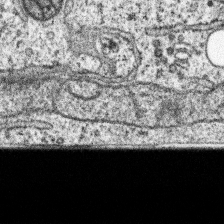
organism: Human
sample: HeLa cells